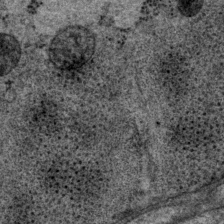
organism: P. pacificus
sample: Pharynx